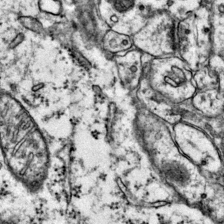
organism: Mouse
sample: Primary visual cortex